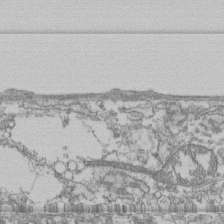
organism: Human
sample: Fibroblast cells